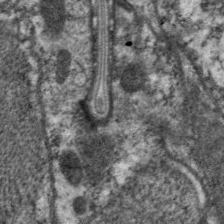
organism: C. elegans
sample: Pharynx